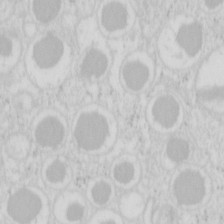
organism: Mouse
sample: Pancreas